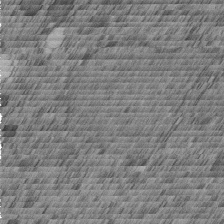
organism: C. elegans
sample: C. elegans embryo early stage